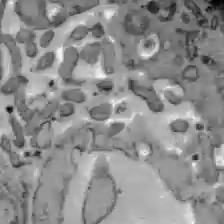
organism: C57BL Mouse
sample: Liver